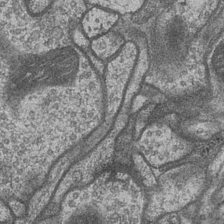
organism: Drosophila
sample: Optic medulla